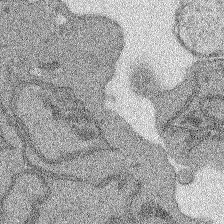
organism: Human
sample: HeLa cells